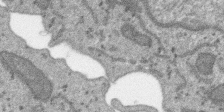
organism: Human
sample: Lung epithelial cells infected with SARS-CoV-2